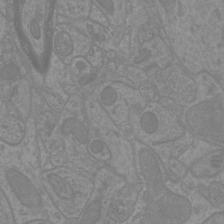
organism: Mouse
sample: Cortical neurons